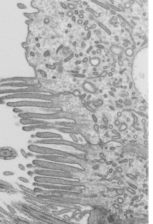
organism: Mouse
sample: Mouse epididymis efferent ductule cilia